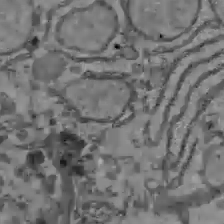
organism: C57BL Mouse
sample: Liver